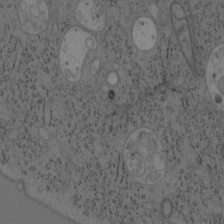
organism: Mouse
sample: OT-I killer T cells with ID8 ovarian cancer cells